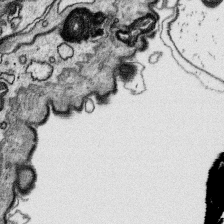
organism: Platynereis dumerilii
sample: Parapodia